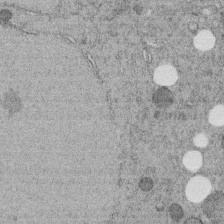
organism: C. elegans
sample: C. elegans embryo early stage